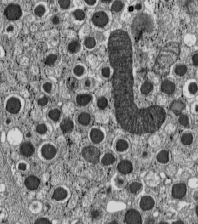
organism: C57BL Mouse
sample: Pancreatic islet